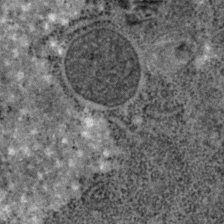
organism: C. elegans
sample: C. elegans embryo